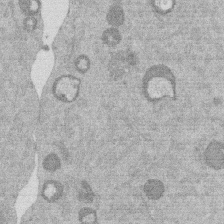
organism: Mouse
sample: Dividing mouse embryo 1 cell stage